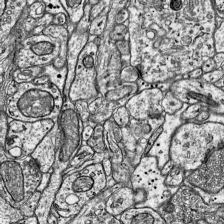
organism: Mouse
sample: Visual Cortex